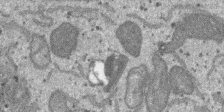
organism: Human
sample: Lung epithelial cells infected with SARS-CoV-2